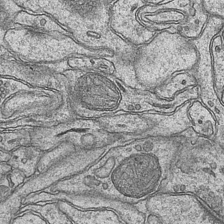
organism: Mouse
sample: CA1 Hippocampus